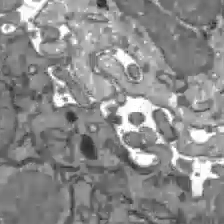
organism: C57BL Mouse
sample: Liver